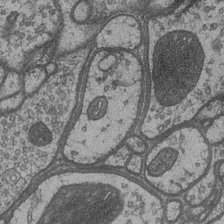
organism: Drosophila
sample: Optic medulla